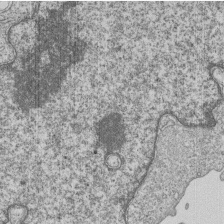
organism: Human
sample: MDA-MB-231 cells